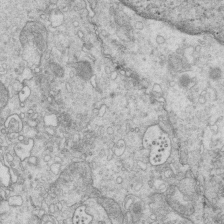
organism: Mouse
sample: Multiciliated cells